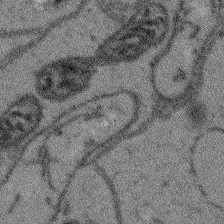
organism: Arabidopsis thaliana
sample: Root tip